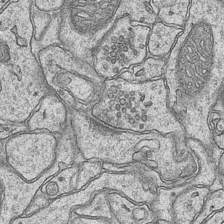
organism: Mouse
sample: CA1 Hippocampus